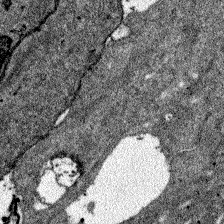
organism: Zebrafish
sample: Larval olfactory bulb